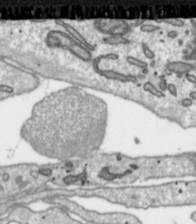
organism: Toxoplasma gondii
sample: Parasites in a vacuole inside a host cell